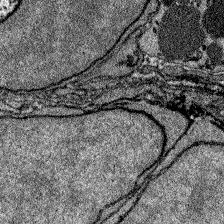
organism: Zebrafish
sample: Larval olfactory bulb